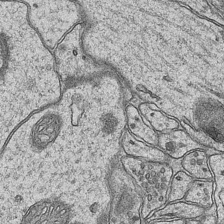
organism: Mouse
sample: CA1 Hippocampus